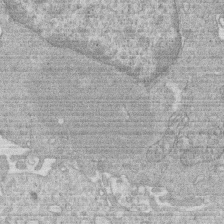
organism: Human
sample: Macrophage cells